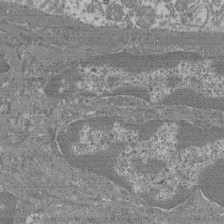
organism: Mouse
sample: Glomerulus